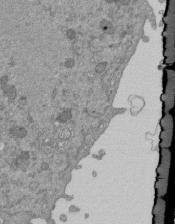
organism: Mouse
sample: ED-1 cell nuclei; centrioles